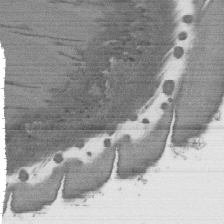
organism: C. elegans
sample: AFD neurons C. elegans